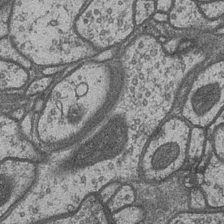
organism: Drosophila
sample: Optic medulla